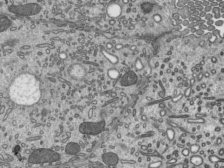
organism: Mouse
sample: Mouse epididymis efferent ductule cilia